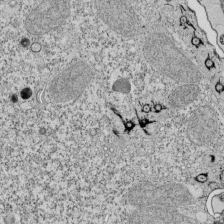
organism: Tetrahymena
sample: Cilia in tetrahymena